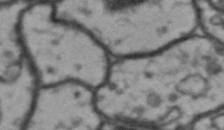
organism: Drosophila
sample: Brain